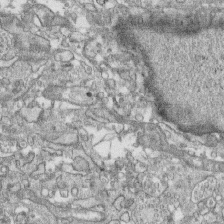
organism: Human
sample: CRL-1474